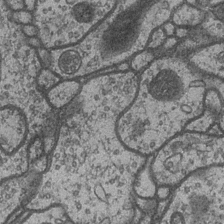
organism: Drosophila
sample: Optic medulla